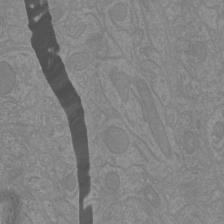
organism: Mouse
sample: Cortical neurons